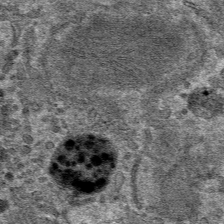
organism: Mouse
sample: Mouse hepatocytes